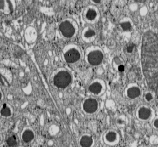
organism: C57BL Mouse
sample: Pancreatic islet